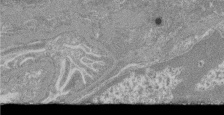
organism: Mouse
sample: Glomerulus